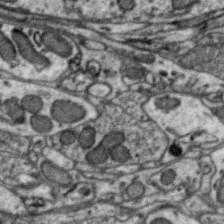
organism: Zebra finch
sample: Brain